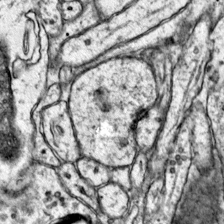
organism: Mouse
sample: Primary visual cortex